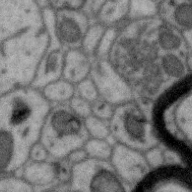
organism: Zebra finch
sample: Brain